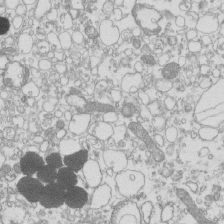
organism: Mouse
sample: Macrophages